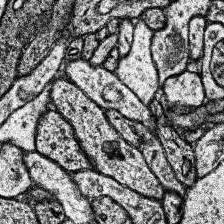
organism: Human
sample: Temporal Lobe